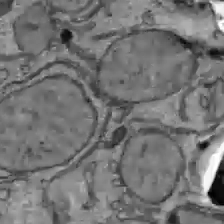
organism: C57BL Mouse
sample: Liver